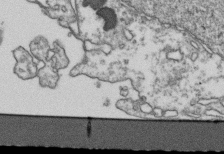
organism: Human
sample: Activated Jurkat CD4+ T cells